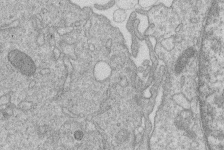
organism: Human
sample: Macrophage cells